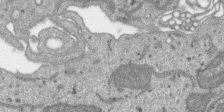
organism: Human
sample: Lung epithelial cells infected with SARS-CoV-2